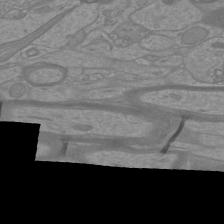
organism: Mouse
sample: Cortical neurons